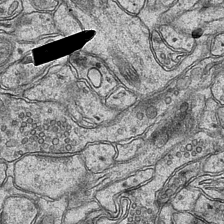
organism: Mouse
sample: CA1 Hippocampus